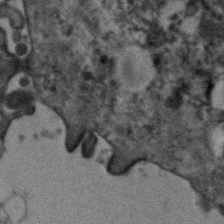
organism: Human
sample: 1205lu cells